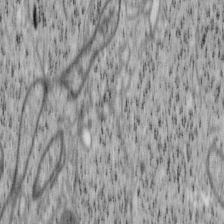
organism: Human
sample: HeLa cells